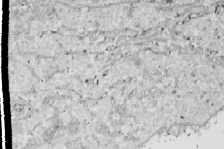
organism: Drosophila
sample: Cell division; meiosis; drosophila spermatocytes